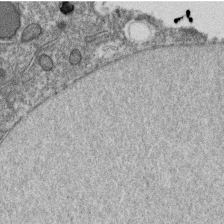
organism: C. elegans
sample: C. elegans oocyte; sperm cells